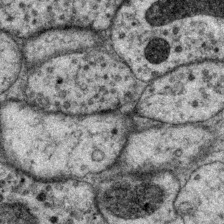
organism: P. pacificus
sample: Pharynx